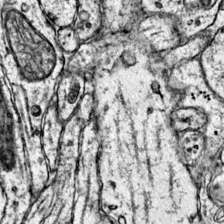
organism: Mouse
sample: Primary visual cortex